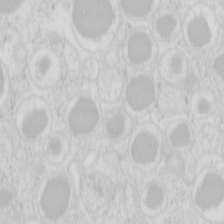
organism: Mouse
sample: Pancreas